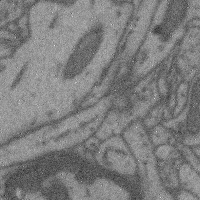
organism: Mouse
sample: Cerebral cortex